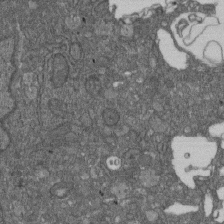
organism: Drosophila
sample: Nephrocyte